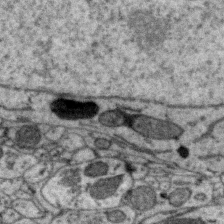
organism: Zebra finch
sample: Brain